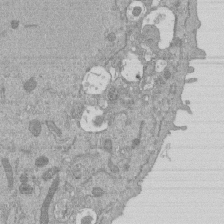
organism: Mouse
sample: ED-1 cell nuclei; centrioles